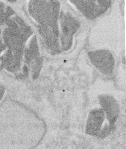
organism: Mouse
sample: T cell stromal cell synapse